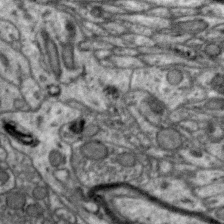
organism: Zebra finch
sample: Brain